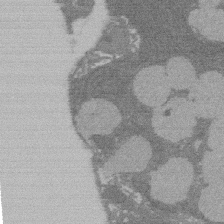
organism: Rat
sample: Salivary granule